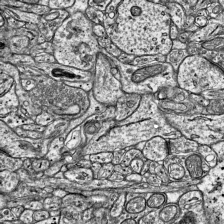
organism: Mouse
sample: Visual Cortex